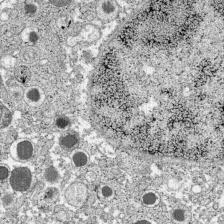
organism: C57BL Mouse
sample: Pancreatic islet